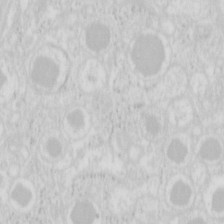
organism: Mouse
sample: Pancreas